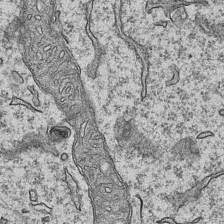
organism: Mouse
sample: CA1 Hippocampus